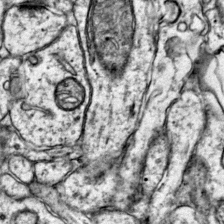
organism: Mouse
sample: Primary visual cortex